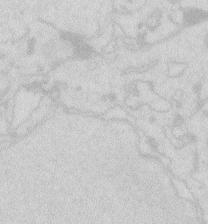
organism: Zebrafish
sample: Macrophage